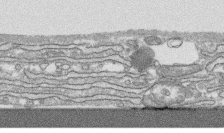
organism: Human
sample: CRL-1474